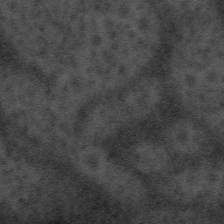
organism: Tuwongella immobilis